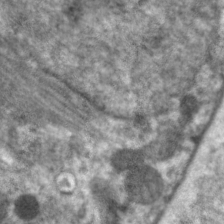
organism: C. elegans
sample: Pharynx